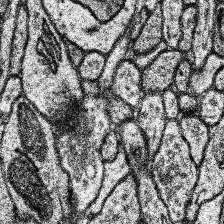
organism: Human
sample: Temporal Lobe